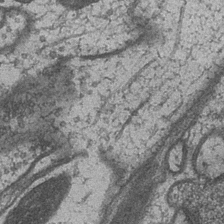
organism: Drosophila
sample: Optic medulla